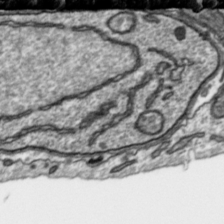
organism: Toxoplasma gondii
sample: Parasites in a vacuole inside a host cell